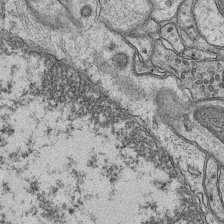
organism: Mouse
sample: CA1 Hippocampus